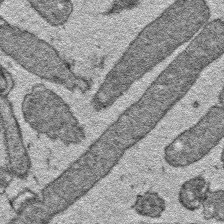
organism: E. coli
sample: E. Coli Bacteria